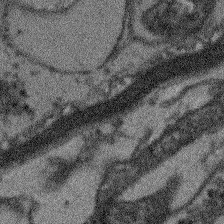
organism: Arabidopsis thaliana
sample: Root tip